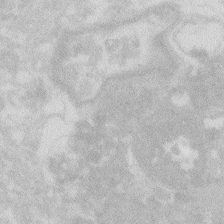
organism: Zebrafish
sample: Macrophage